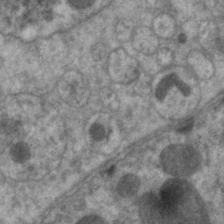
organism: C. elegans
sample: Pharynx